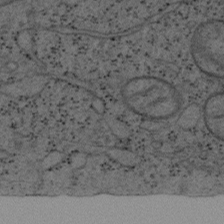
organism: Human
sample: HeLa cells